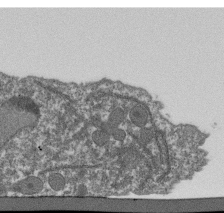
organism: Dictyostelium discoideum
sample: Dictyostelium multivesicular bodies